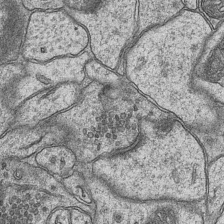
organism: Mouse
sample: CA1 Hippocampus